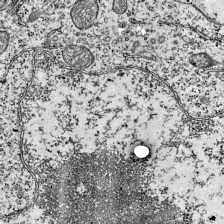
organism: Mouse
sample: Visual Cortex